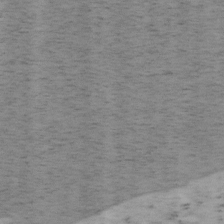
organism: Mouse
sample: OT-I killer T cells with ID8 ovarian cancer cells